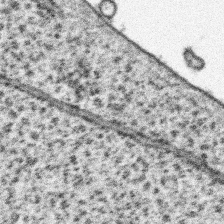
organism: Human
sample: HeLa cells